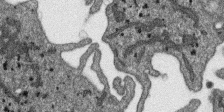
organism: Human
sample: Lung epithelial cells infected with SARS-CoV-2